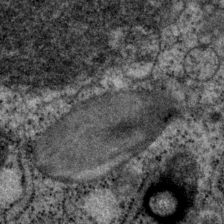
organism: P. pacificus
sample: Pharynx